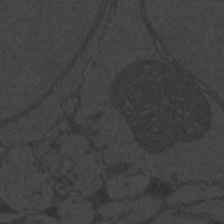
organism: Zebrafish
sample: Macrophage infected with Toxoplasma gondii